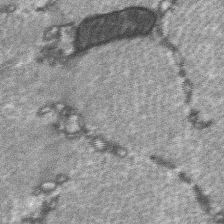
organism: C57BL Mouse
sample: Soleus